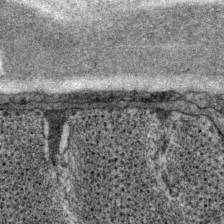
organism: P. pacificus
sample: Pharynx